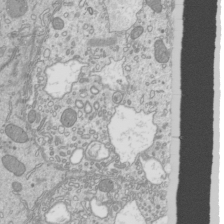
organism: Mouse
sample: Cilia; mouse epididymis